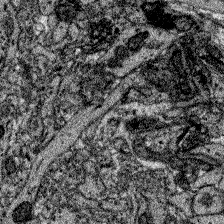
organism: Zebrafish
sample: Larval olfactory bulb